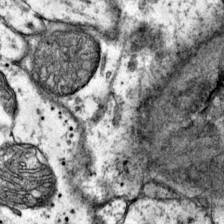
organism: Mouse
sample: Primary visual cortex